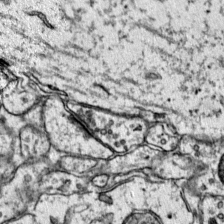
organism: Mouse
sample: Primary visual cortex